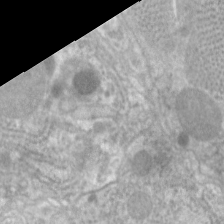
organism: C. elegans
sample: Pharynx